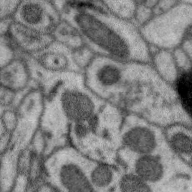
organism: Zebra finch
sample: Brain